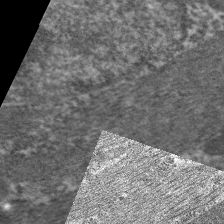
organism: C. elegans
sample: Pharynx